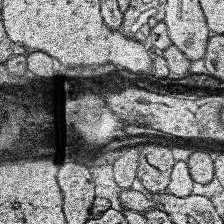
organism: Human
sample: Temporal Lobe